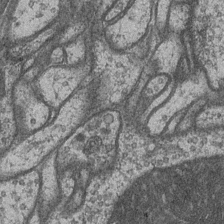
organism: Drosophila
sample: Optic medulla